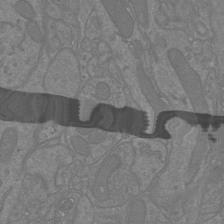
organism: Mouse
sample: Cortical neurons